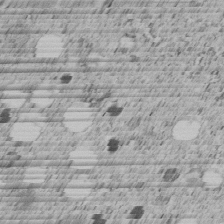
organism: C. elegans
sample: C. elegans embryo early stage